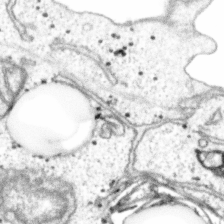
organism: Human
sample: HeLa cells